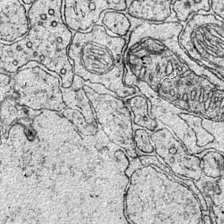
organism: Mouse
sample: Primary visual cortex